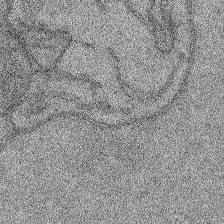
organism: Human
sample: HeLa cells